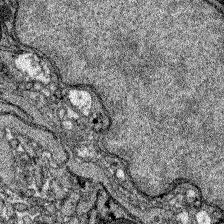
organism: Zebrafish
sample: Larval olfactory bulb